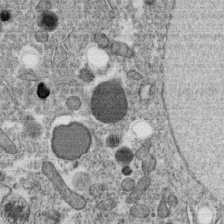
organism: C. elegans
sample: C. elegans oocyte; sperm cells